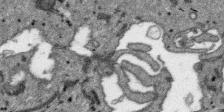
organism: Human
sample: Lung epithelial cells, uninfected (mock) control